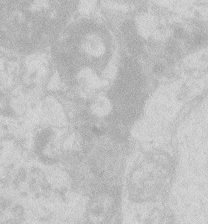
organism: Zebrafish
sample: Macrophage